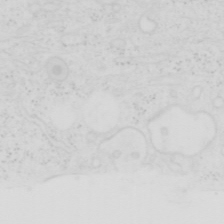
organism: Human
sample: SUM-159 cell